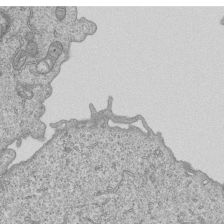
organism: Human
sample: MDA-MB-231 cells